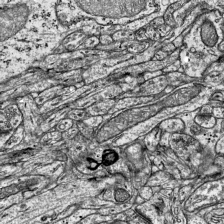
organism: Mouse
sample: Visual Cortex